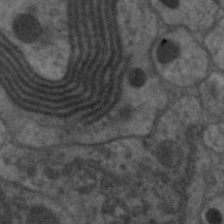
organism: C. elegans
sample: Pharynx